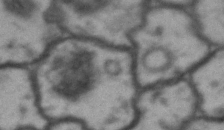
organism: Drosophila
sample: Brain